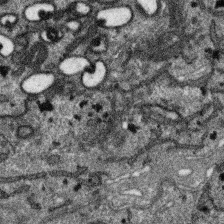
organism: Human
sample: Lung epithelial cells infected with SARS-CoV-2